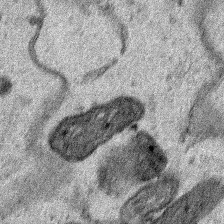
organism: Human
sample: Mitochondria in HCT116 cells